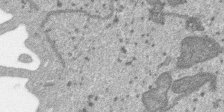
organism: Human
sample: Lung epithelial cells infected with SARS-CoV-2